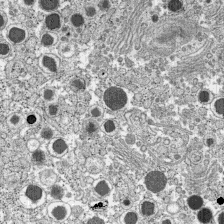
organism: C57BL Mouse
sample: Pancreatic islet